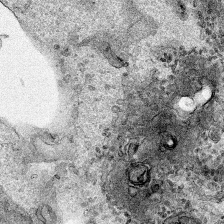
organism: Human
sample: Mitochondria in HCT116 cells